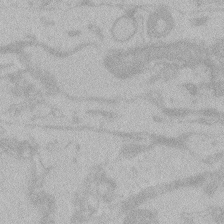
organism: Zebrafish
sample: Macrophage infected with Toxoplasma gondii